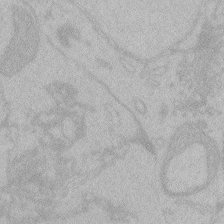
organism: Zebrafish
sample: Macrophage infected with Toxoplasma gondii